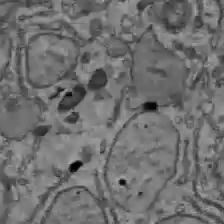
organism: C57BL Mouse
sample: Liver